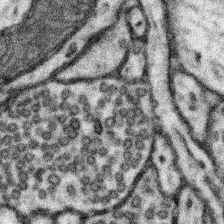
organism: Mouse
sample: Somatosensory cortex neuropil